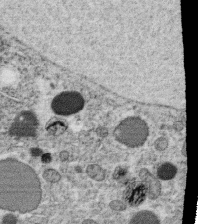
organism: C. elegans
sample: C. elegans oocyte; sperm cells